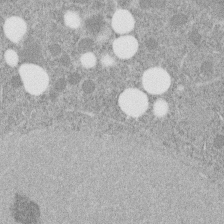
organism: C. elegans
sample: C. elegans embryo early stage